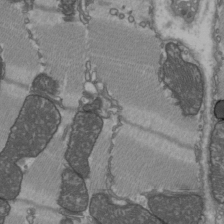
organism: C57BL Mouse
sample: Heart